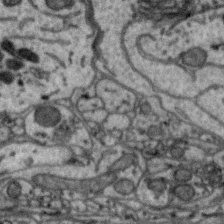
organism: Zebra finch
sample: Brain